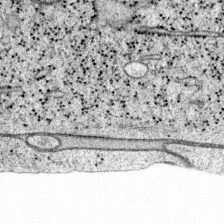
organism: Human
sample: HeLa cells